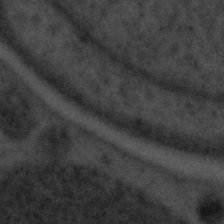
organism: Tuwongella immobilis